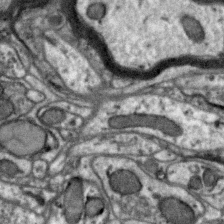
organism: Zebra finch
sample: Brain